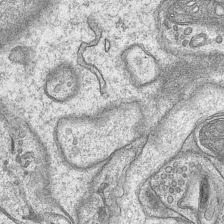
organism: Mouse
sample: CA1 Hippocampus